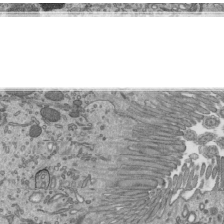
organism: Mouse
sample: Mouse epididymis efferent ductule cilia